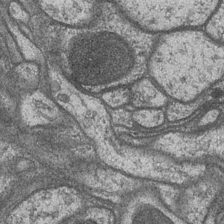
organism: Drosophila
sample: Optic medulla